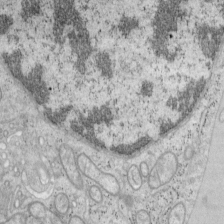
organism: Mouse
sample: OT-I killer T cells with ID8 ovarian cancer cells